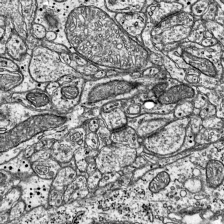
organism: Mouse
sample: Visual Cortex